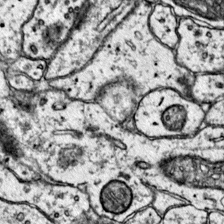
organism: Mouse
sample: Primary visual cortex